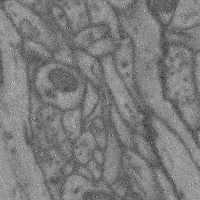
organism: Mouse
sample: Cerebral cortex